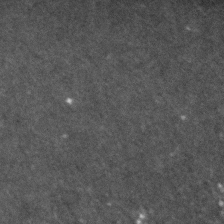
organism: Zebrafish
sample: Zebrafish embryo